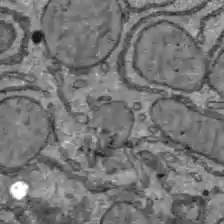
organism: C57BL Mouse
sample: Liver